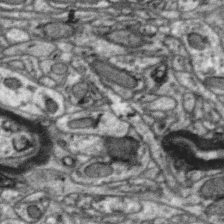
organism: Zebra finch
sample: Brain